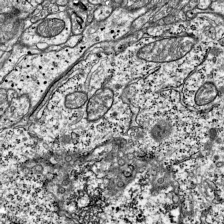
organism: Mouse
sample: Visual Cortex